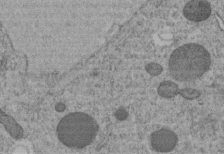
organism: C. elegans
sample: C. elegans embryo early stage